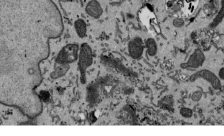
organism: Mouse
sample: ED-1 cell nuclei; centrioles